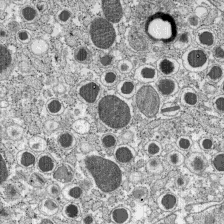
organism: C57BL Mouse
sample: Pancreatic islet